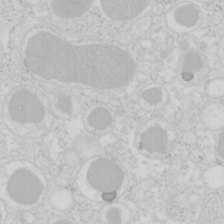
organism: Mouse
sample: Pancreas